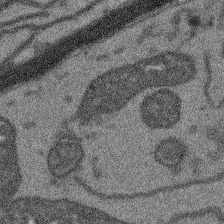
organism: Arabidopsis thaliana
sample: Root tip